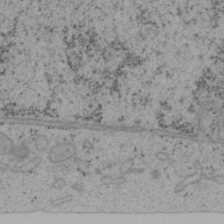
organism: Human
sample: HeLa cells